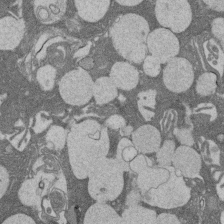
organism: Rat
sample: Salivary granule